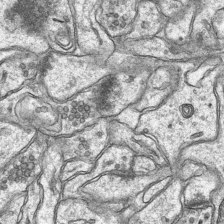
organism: Mouse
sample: CA1 Hippocampus